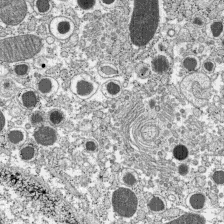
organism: C57BL Mouse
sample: Pancreatic islet